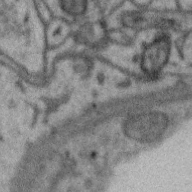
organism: Zebra finch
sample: Brain